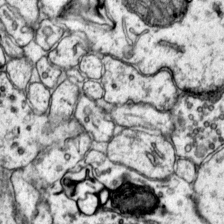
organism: Mouse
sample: Primary visual cortex